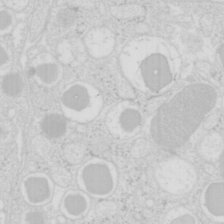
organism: Mouse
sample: Pancreas